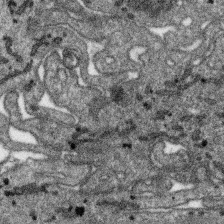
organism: Human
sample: Lung epithelial cells infected with SARS-CoV-2